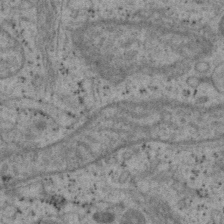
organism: Human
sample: HeLa cells